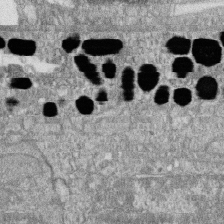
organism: Zebrafish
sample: Cilia; retinal pigment epithelium